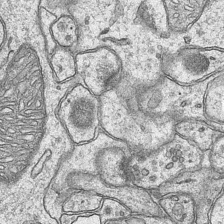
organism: Mouse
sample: CA1 Hippocampus